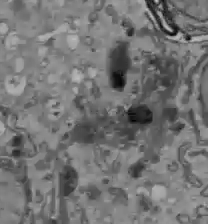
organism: C57BL Mouse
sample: Liver